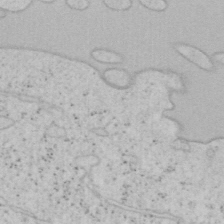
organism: Human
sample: HeLa cells